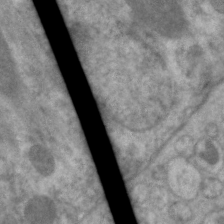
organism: C. elegans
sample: Pharynx